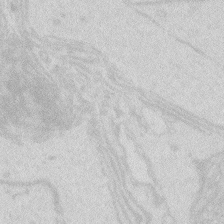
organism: Zebrafish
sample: Macrophage